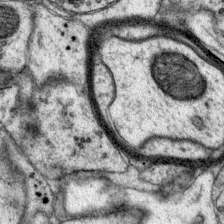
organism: Mouse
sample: Primary visual cortex